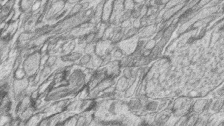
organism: Zebrafish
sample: synaptic ribbons in rod cells and cone cells